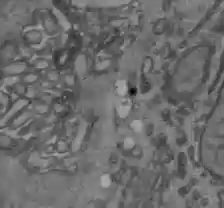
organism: C57BL Mouse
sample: Liver